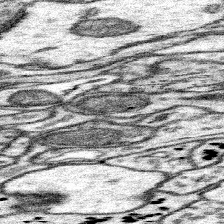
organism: Mouse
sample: Somatosensory cortex neuropil